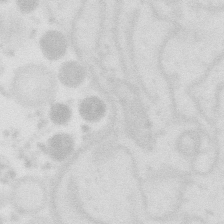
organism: Human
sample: HeLa cells